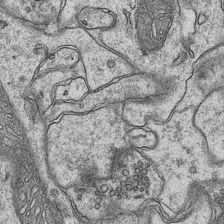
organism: Mouse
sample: CA1 Hippocampus